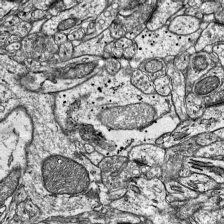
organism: Mouse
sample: Visual Cortex